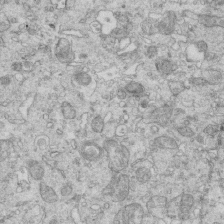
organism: Mouse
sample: Multiciliated cells